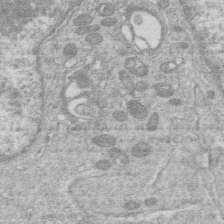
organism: Human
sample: Macrophage cells